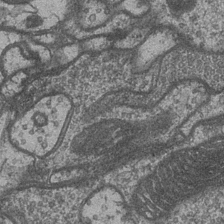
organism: Drosophila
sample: Optic medulla